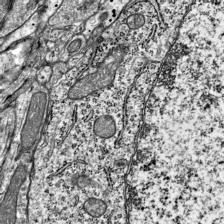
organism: Mouse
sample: Visual Cortex